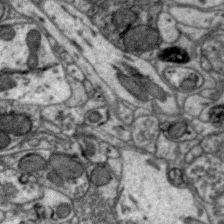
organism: Zebra finch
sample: Brain